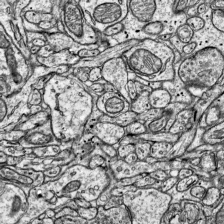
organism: Mouse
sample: Visual Cortex